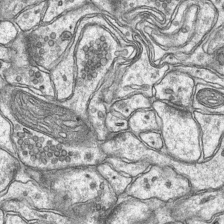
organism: Mouse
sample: CA1 Hippocampus